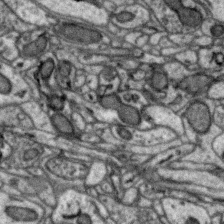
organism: Zebra finch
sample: Brain